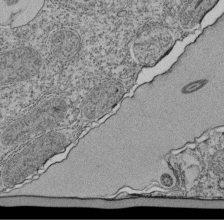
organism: Tetrahymena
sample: Cilia in tetrahymena